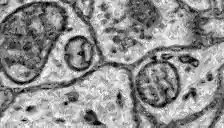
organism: Zebrafish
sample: Brain